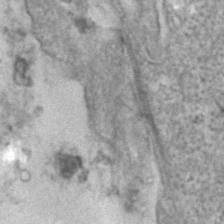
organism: Human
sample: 1205lu cells